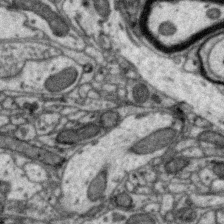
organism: Zebra finch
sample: Brain